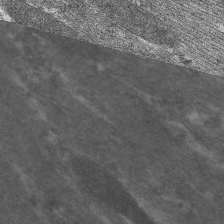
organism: C. elegans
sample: Pharynx